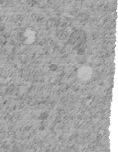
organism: C. elegans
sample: C. elegans embryo early stage